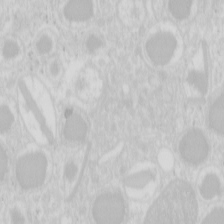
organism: Mouse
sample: Pancreas